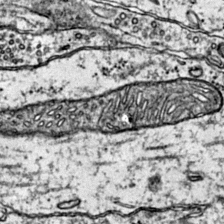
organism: Mouse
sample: Primary visual cortex